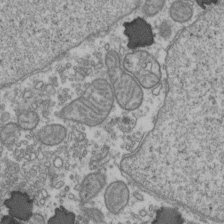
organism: Human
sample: Activated Jurkat CD4+ T cells